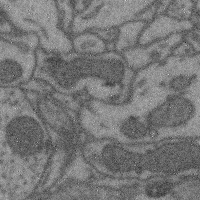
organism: Mouse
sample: Cerebral cortex